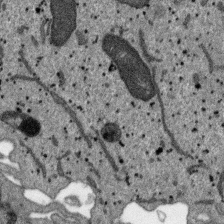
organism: Human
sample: Lung epithelial cells, uninfected (mock) control